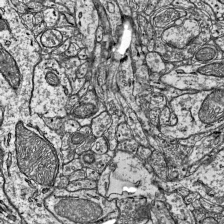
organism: Mouse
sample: Visual Cortex